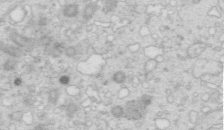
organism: Mouse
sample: Multiciliated cells